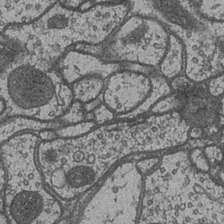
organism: Drosophila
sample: Optic medulla